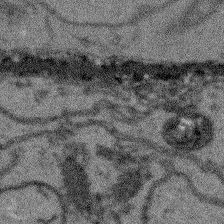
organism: Arabidopsis thaliana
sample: Root tip